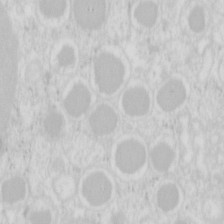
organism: Mouse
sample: Pancreas